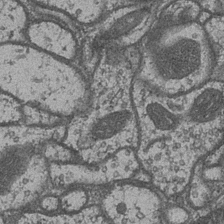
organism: Drosophila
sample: Optic medulla